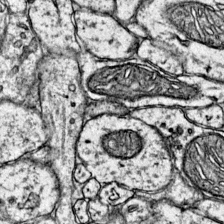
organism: Mouse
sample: Primary visual cortex